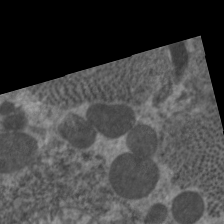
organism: C. elegans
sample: Pharynx